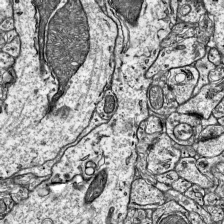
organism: Mouse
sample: Visual Cortex